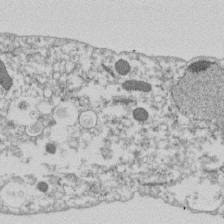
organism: Dictyostelium discoideum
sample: Dictyostelium multivesicular bodies